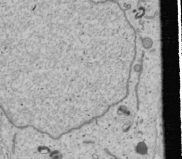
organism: Human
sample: Mitochondria in U2OS cells